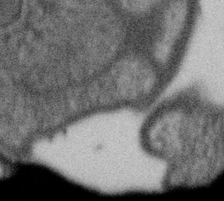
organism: Gemmata obscuriglobus